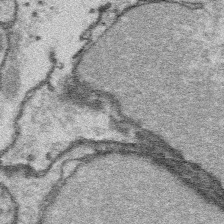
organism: Platynereis dumerilii